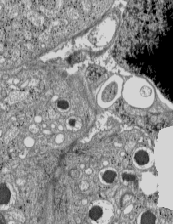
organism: C57BL Mouse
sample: Pancreatic islet